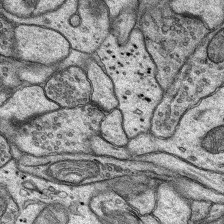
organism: Rat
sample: Hippocampus